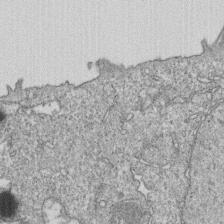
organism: Human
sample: HeLa cell HIV synapse